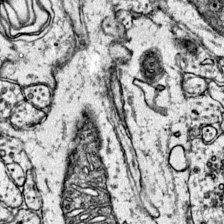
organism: Mouse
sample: Primary visual cortex